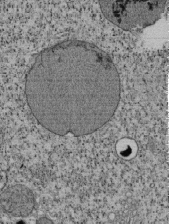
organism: Tetrahymena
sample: Cilia in tetrahymena